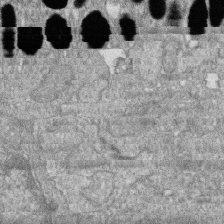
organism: Zebrafish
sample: Cilia; retinal pigment epithelium